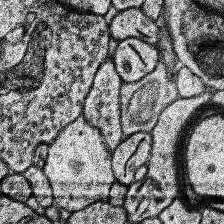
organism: Human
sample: Temporal Lobe